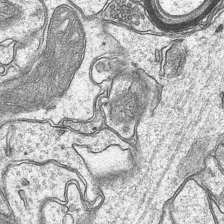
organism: Mouse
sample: CA1 Hippocampus